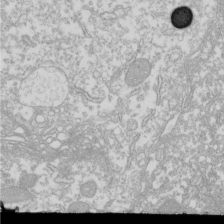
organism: Xenopus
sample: Cilia; centrioles in frog embryo cells